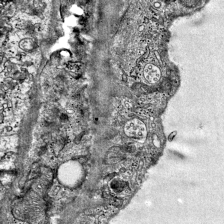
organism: Mouse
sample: Visual Cortex